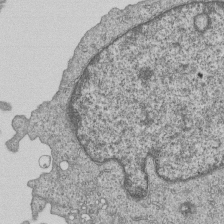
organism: Human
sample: MDA-MB-231 cells